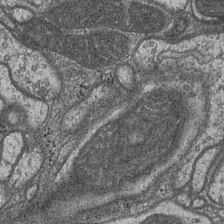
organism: Drosophila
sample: Optic medulla